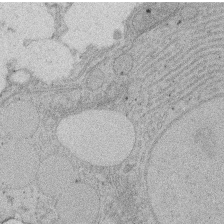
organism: Rat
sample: Salivary granule